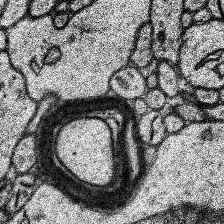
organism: Human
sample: Temporal Lobe